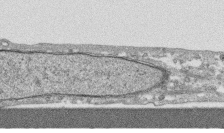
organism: Human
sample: CRL-1474